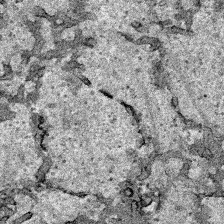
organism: Human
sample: Mitochondria in HCT116 cells